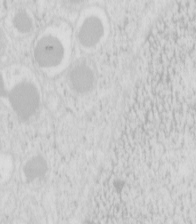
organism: Mouse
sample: Pancreas